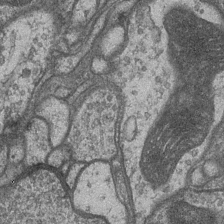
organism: Drosophila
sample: Optic medulla